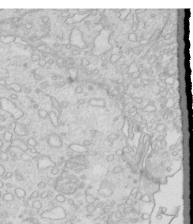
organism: Mouse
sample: Multiciliated cells